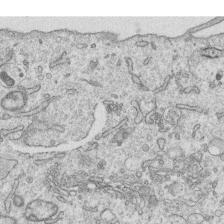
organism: Human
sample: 1205lu cells